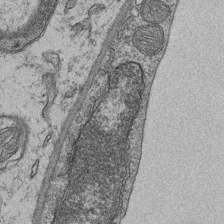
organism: Mouse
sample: CA1 Hippocampus